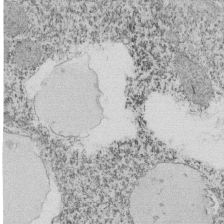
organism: Tetrahymena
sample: Cilia in tetrahymena